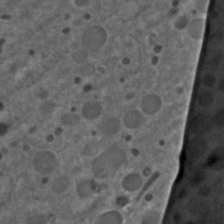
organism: C. elegans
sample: C. elegans embryo